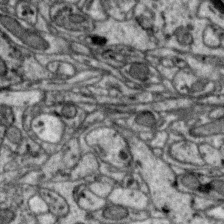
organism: Zebra finch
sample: Brain